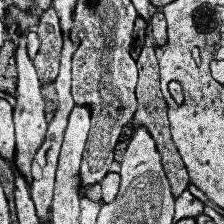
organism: Human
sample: Temporal Lobe